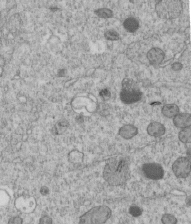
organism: C. elegans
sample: C. elegans embryo early stage